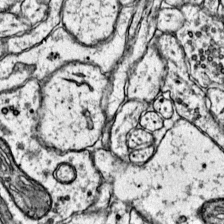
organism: Mouse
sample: Primary visual cortex